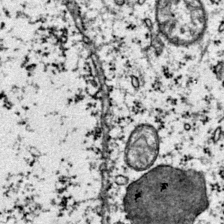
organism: Mouse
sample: Primary visual cortex